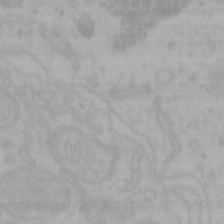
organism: Mouse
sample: Choroid plexus